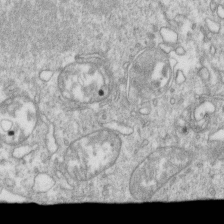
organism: Mouse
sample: Activated OT-1 CD8+ T cells